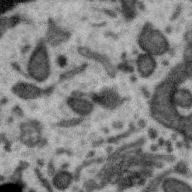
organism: Zebra finch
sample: Brain